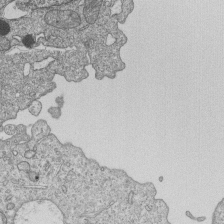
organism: Human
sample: MDA-MB-231 cells